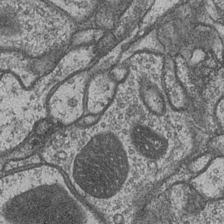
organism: Drosophila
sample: Optic medulla